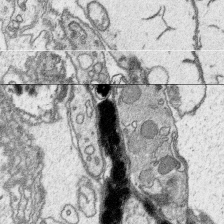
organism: Platynereis dumerilii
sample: Parapodia